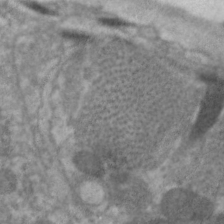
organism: C. elegans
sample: Pharynx